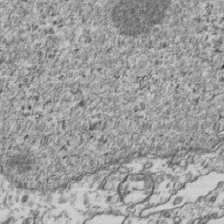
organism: Human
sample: Activated Jurkat CD4+ T cells